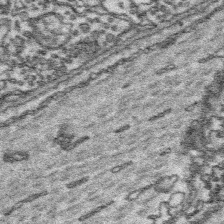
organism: Platynereis dumerilii